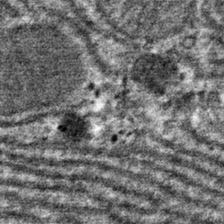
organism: Mouse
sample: Mouse hepatocytes